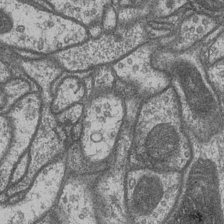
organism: Drosophila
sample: Optic medulla